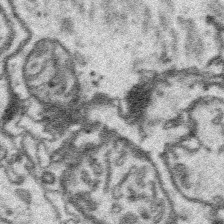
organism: Platynereis dumerilii